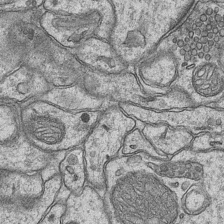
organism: Mouse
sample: CA1 Hippocampus